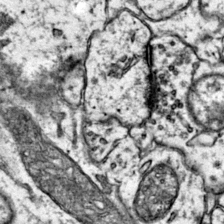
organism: Mouse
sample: Primary visual cortex